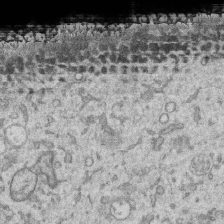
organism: Human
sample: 1205lu cells